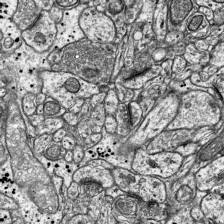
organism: Mouse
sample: Visual Cortex